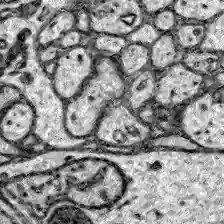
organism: Zebrafish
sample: Brain